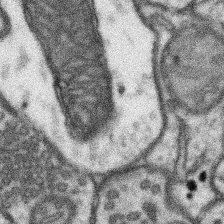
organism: Mouse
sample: Somatosensory cortex neuropil